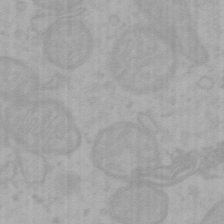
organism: Mouse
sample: Choroid plexus